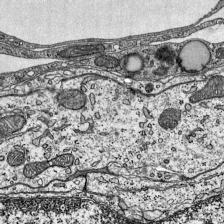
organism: Mouse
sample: Visual Cortex